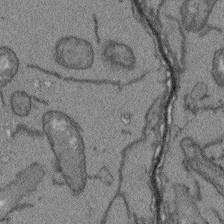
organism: Arabidopsis thaliana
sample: Root tip